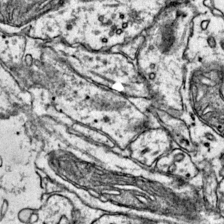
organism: Mouse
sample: Primary visual cortex